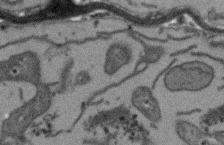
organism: Arabidopsis thaliana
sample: Root tip